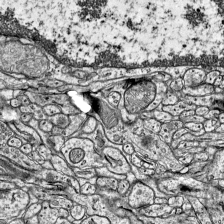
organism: Mouse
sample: Visual Cortex